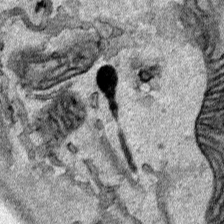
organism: Human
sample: Mitochondria in HCT116 cells